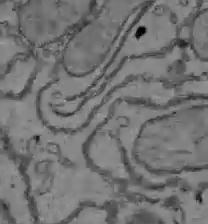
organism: C57BL Mouse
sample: Liver